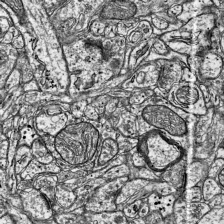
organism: Mouse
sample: Visual Cortex